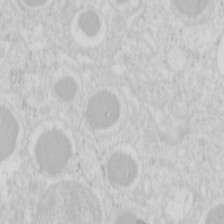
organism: Mouse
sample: Pancreas